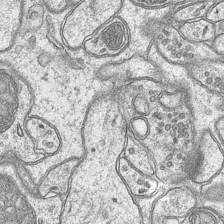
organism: Mouse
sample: CA1 Hippocampus